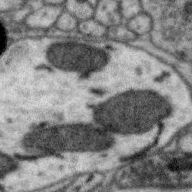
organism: Zebra finch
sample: Brain